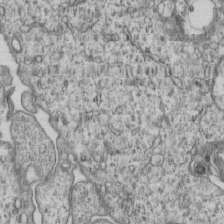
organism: Human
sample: MDA-MB-231 cells